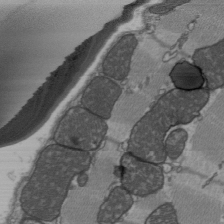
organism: C57BL Mouse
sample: Heart